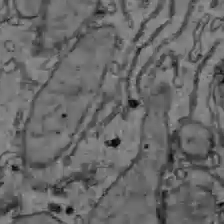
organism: C57BL Mouse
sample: Liver